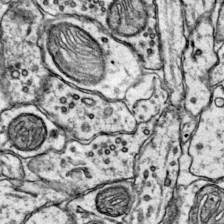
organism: Mouse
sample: Primary visual cortex